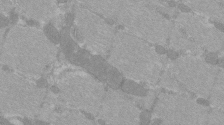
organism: C57BL Mouse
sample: Tibialis anterior muscle cell